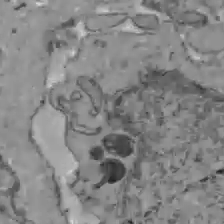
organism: C57BL Mouse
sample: Liver